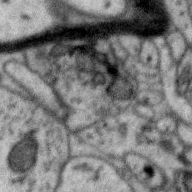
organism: Zebra finch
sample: Brain